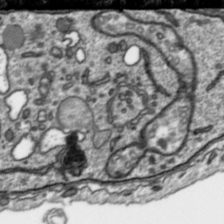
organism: Toxoplasma gondii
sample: Parasites in a vacuole inside a host cell